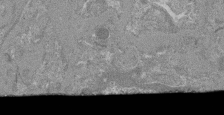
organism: Mouse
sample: Glomerulus